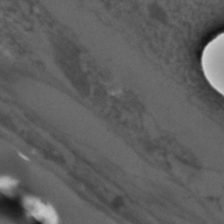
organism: C. elegans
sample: C. elegans embryo